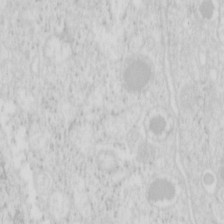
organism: Mouse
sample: Pancreas